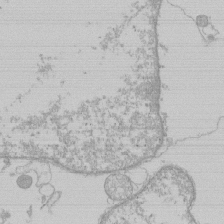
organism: Human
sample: Macrophage cells